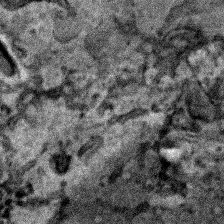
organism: Human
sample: Mitochondria in HCT116 cells